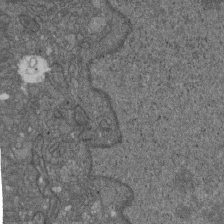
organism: Drosophila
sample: Nephrocyte